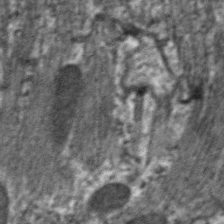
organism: C. elegans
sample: Pharynx